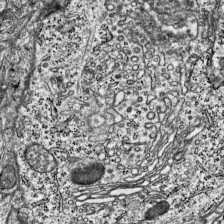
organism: Mouse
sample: Visual Cortex